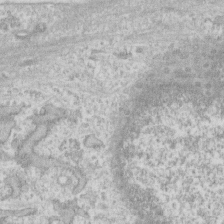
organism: Human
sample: Fibroblast cells